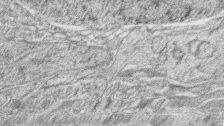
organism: Zebrafish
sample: synaptic ribbons in rod cells and cone cells